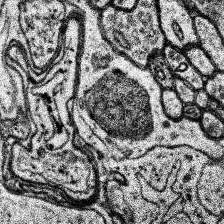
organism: Human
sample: Temporal Lobe